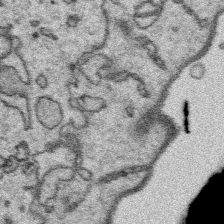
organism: Platynereis dumerilii